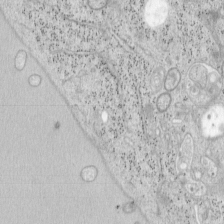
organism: Mouse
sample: OT-I killer T cells with ID8 ovarian cancer cells